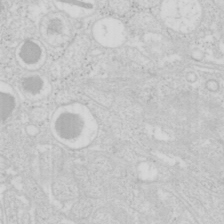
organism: Mouse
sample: Pancreas